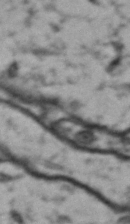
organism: Drosophila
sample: Brain